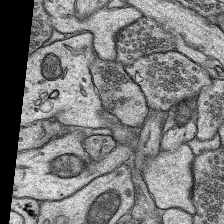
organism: Rat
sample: Hippocampus